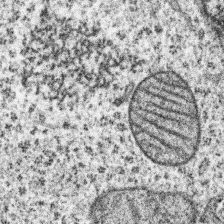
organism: Human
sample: HeLa cells